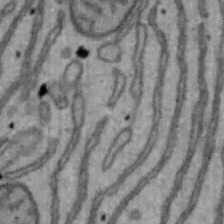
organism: Mouse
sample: Liver